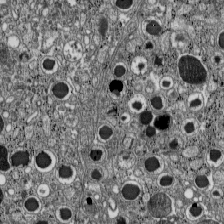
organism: C57BL Mouse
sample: Pancreatic islet